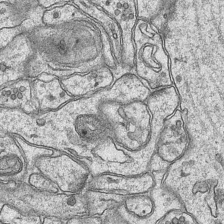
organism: Mouse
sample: CA1 Hippocampus